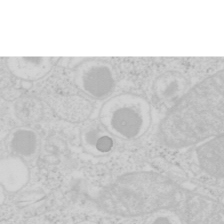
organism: Mouse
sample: Pancreas